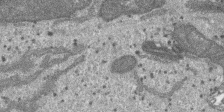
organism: Human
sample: Lung epithelial cells infected with SARS-CoV-2